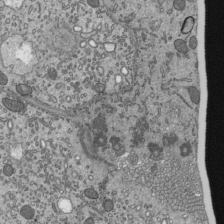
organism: Mouse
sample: Mouse epididymis efferent ductule cilia